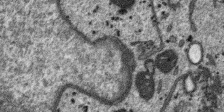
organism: Human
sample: Lung epithelial cells infected with SARS-CoV-2